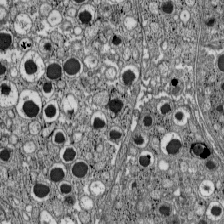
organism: C57BL Mouse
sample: Pancreatic islet